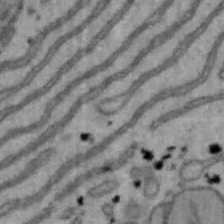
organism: Mouse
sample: Liver